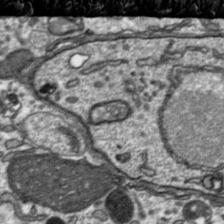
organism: Toxoplasma gondii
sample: Parasites in a vacuole inside a host cell